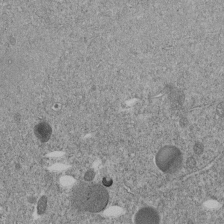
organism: C. elegans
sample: C. elegans embryo early stage